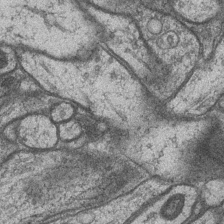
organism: Drosophila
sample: Optic medulla